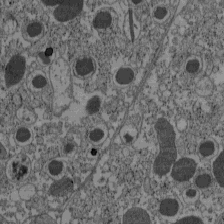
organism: C57BL Mouse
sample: Pancreatic islet